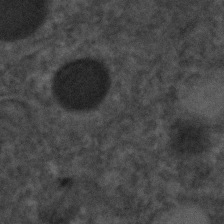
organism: C. elegans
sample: C. elegans embryo